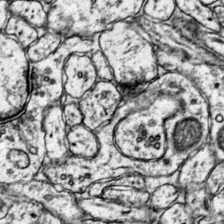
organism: Mouse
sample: Primary visual cortex